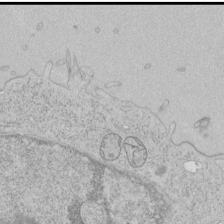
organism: Human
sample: Mitochondria in HCT116 cells